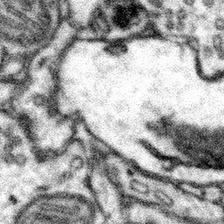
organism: Mouse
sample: Somatosensory cortex neuropil